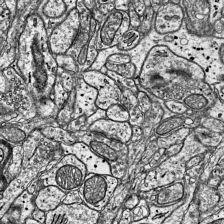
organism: Mouse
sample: Visual Cortex